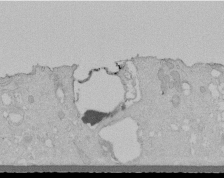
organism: Human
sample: Melanocyte Keratinocyte synapse skin construct